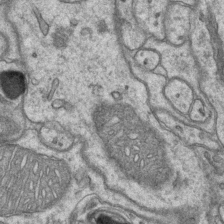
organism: Mouse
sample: CA1 Hippocampus